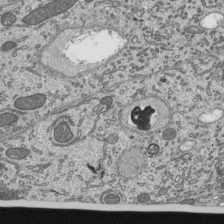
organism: Mouse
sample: Mouse epididymis efferent ductule cilia